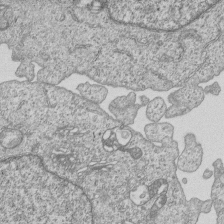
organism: Human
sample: MDA-MB-231 cells